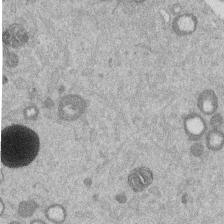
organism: Mouse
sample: Dividing mouse embryo 1 cell stage